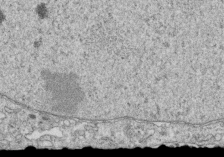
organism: Human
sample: HeLa cell HIV synapse